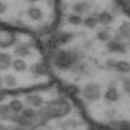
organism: Drosophila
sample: Brain